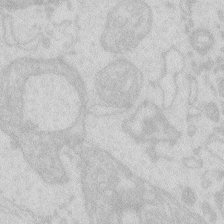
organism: Zebrafish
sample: Macrophage